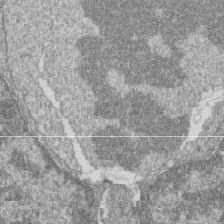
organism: Zebrafish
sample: Cilia; retinal pigment epithelium